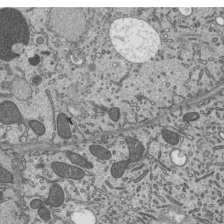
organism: Mouse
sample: Mouse epididymis efferent ductule cilia